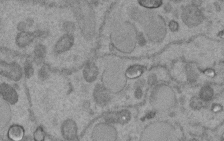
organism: C. elegans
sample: C. elegans embryo early stage